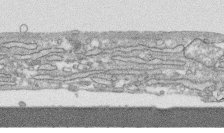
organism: Human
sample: CRL-1474